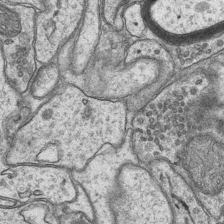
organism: Mouse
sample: CA1 Hippocampus